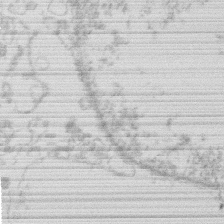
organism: Human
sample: Macrophage cells